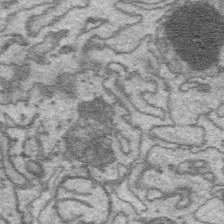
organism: Platynereis dumerilii